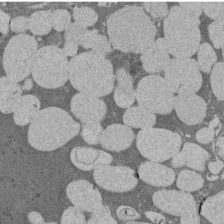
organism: Rat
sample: Salivary granule